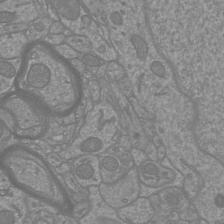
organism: Mouse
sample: Cortical neurons